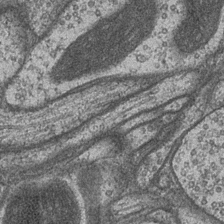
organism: Drosophila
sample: Optic medulla